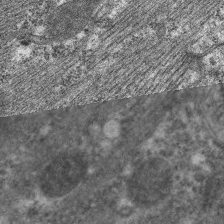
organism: C. elegans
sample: Pharynx